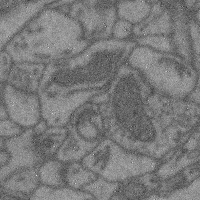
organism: Mouse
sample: Cerebral cortex